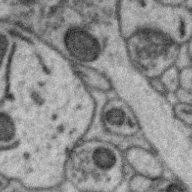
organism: Zebra finch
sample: Brain